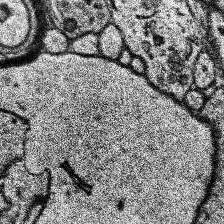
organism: Human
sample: Temporal Lobe